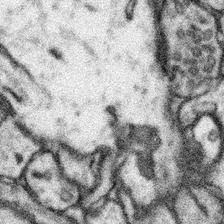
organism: Mouse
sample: Somatosensory cortex neuropil